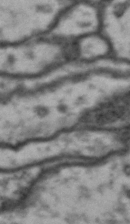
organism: Drosophila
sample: Brain